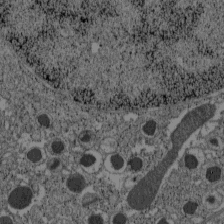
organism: C57BL Mouse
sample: Pancreatic islet